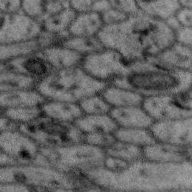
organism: Zebra finch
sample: Brain